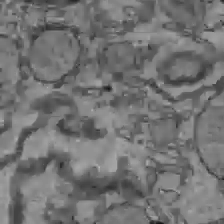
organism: C57BL Mouse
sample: Liver